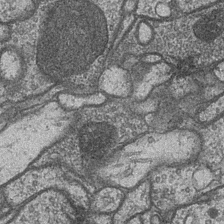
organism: Drosophila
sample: Optic medulla